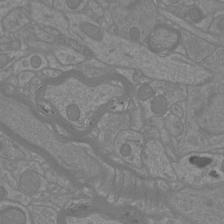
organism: Mouse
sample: Cortical neurons